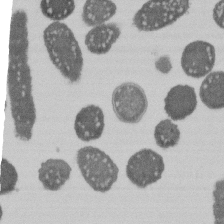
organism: E. coli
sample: Bacterial nucleoid